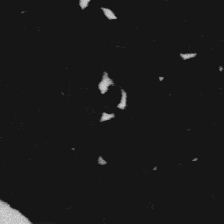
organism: Platynereis dumerilii